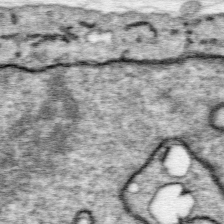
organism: Human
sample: HeLa cells